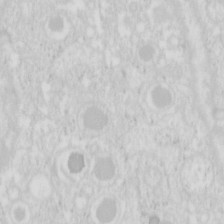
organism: Mouse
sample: Pancreas